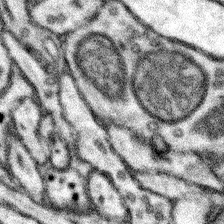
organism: Mouse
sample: Somatosensory cortex neuropil